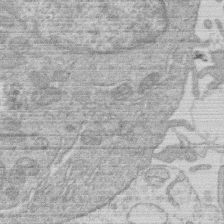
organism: Human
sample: Macrophage cells